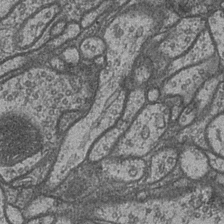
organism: Drosophila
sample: Optic medulla